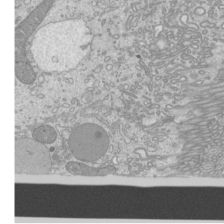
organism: Mouse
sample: Cilia; mouse epididymis